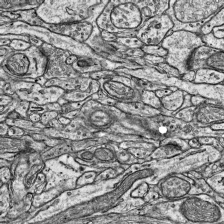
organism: Mouse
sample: Visual Cortex